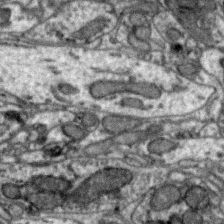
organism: Zebra finch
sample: Brain